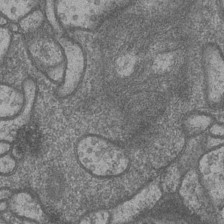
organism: Drosophila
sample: Optic medulla